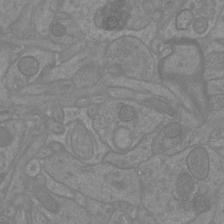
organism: Mouse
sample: Cortical neurons